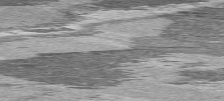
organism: C57BL Mouse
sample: Heart